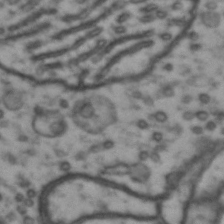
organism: Drosophila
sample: Brain